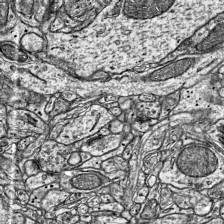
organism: Mouse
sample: Visual Cortex